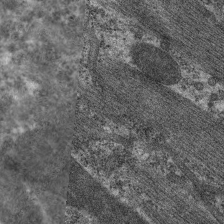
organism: C. elegans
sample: Pharynx